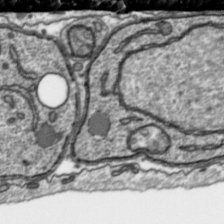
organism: Toxoplasma gondii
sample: Parasites in a vacuole inside a host cell